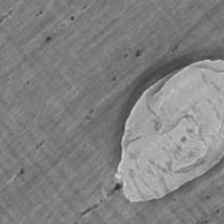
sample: Trachea